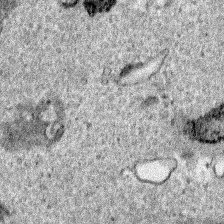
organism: Human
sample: Mitochondria in HCT116 cells